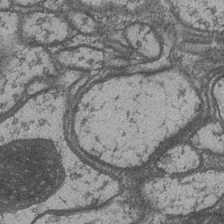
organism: Drosophila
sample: Optic medulla